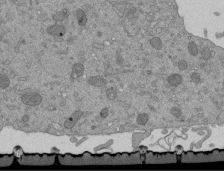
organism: Mouse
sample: ED-1 cell nuclei; centrioles